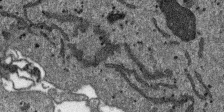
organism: Human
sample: Lung epithelial cells infected with SARS-CoV-2